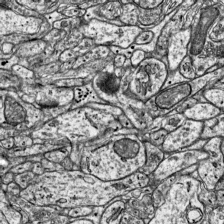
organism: Mouse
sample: Visual Cortex